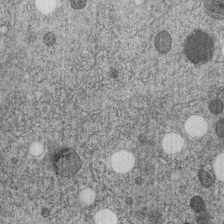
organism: C. elegans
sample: C. elegans embryo early stage